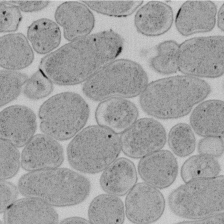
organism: E. coli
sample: Bacterial nucleoid